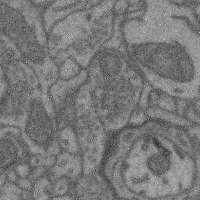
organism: Mouse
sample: Cerebral cortex